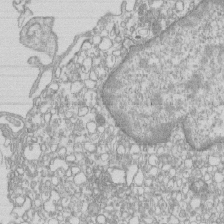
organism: Mouse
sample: Macrophages